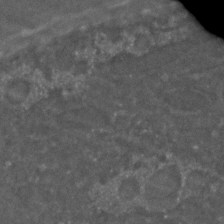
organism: C. elegans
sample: C. elegans embryo